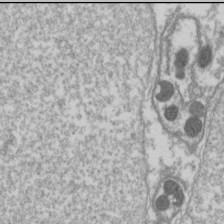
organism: Drosophila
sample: Cell division; meiosis; drosophila spermatocytes